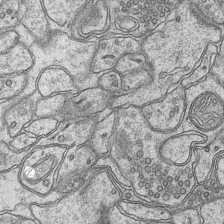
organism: Mouse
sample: CA1 Hippocampus